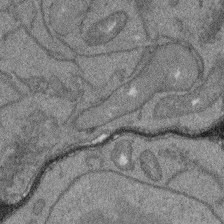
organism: Arabidopsis thaliana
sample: Root tip